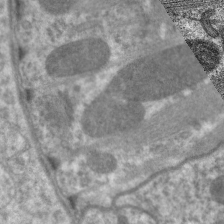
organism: C. elegans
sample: Pharynx